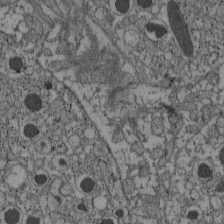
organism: C57BL Mouse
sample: Pancreatic islet